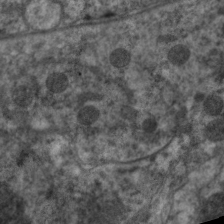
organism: C. elegans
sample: Pharynx